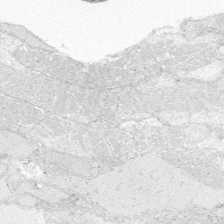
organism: Zebrafish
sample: Whole-Brain